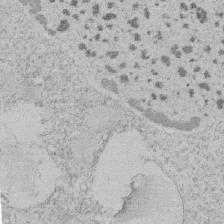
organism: Tetrahymena